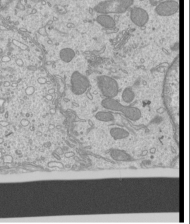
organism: Mouse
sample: Cilia; mouse epididymis